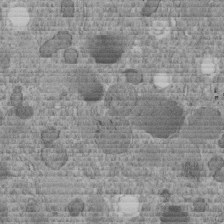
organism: C. elegans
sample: C. elegans embryo early stage